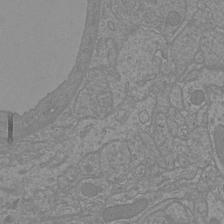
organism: Mouse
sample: Cortical neurons